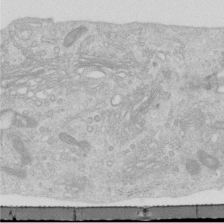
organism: Human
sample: Centriole in RPE cells